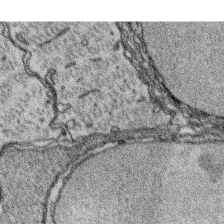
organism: Platynereis dumerilii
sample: Parapodia